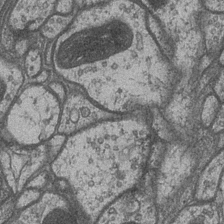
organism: Drosophila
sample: Optic medulla